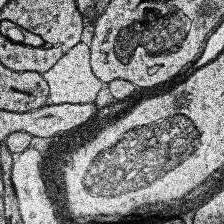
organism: Human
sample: Temporal Lobe